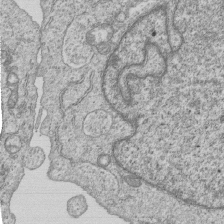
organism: Human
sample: MDA-MB-231 cells